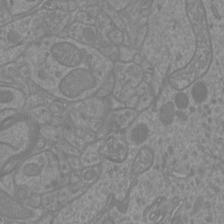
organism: Mouse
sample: Cortical neurons